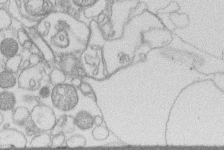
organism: Human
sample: Macrophage cells